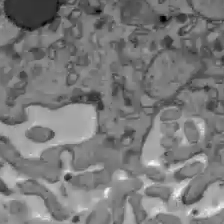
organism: C57BL Mouse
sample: Liver